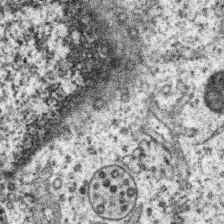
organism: Human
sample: HeLa cells